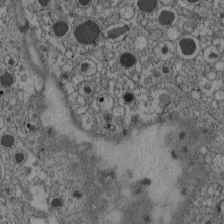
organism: C57BL Mouse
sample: Pancreatic islet